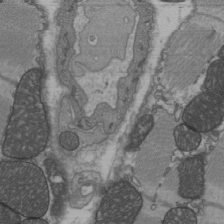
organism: C57BL Mouse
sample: Heart